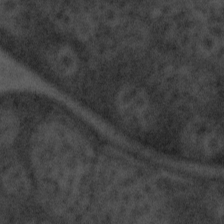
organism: Tuwongella immobilis